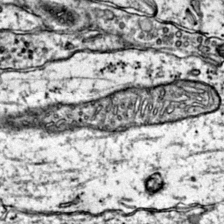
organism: Mouse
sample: Primary visual cortex